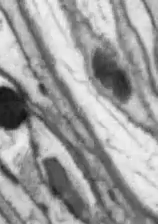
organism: Drosophila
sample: Optic lobe